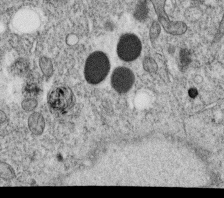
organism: C. elegans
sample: C. elegans oocyte; sperm cells